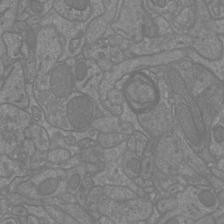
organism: Mouse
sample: Cortical neurons